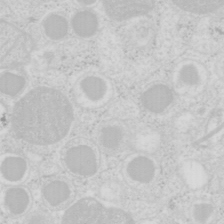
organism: Mouse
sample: Pancreas